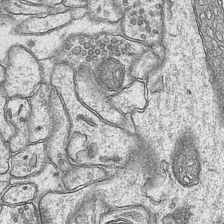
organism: Mouse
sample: CA1 Hippocampus